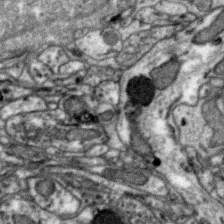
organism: Zebra finch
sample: Brain